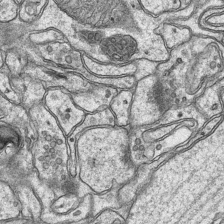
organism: Mouse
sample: CA1 Hippocampus